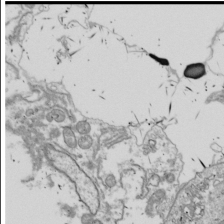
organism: Drosophila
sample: Cell division; meiosis; drosophila spermatocytes